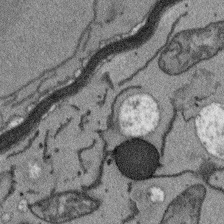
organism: Arabidopsis thaliana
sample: Root tip